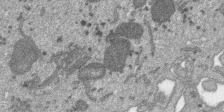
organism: Human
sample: Lung epithelial cells infected with SARS-CoV-2